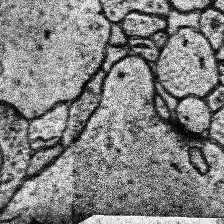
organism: Human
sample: Temporal Lobe